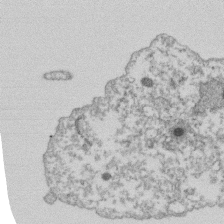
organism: Dictyostelium discoideum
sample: Dictyostelium multivesicular bodies